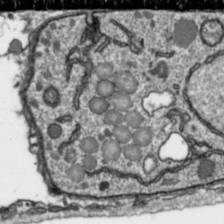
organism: Toxoplasma gondii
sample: Parasites in a vacuole inside a host cell